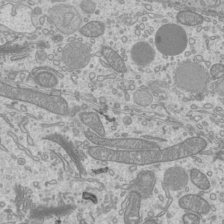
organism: Mouse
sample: Cilia; mouse epididymis